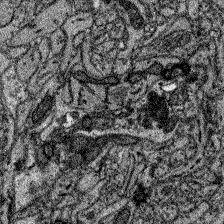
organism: Zebrafish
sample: Larval olfactory bulb